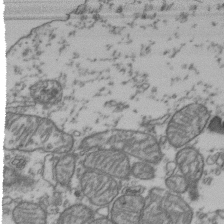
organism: Human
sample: Activated Jurkat CD4+ T cells